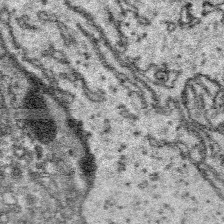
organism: Platynereis dumerilii